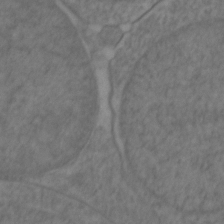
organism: Zebrafish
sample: Zebrafish embryo